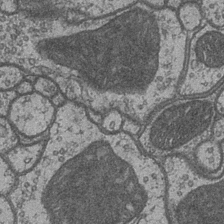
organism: Drosophila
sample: Optic medulla